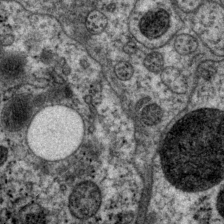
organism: P. pacificus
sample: Pharynx